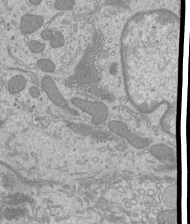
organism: Mouse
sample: Cilia; mouse epididymis